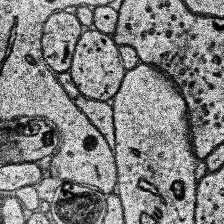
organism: Human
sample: Temporal Lobe